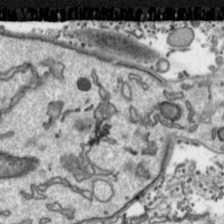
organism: Toxoplasma gondii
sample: Parasites in a vacuole inside a host cell